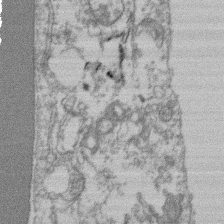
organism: Mouse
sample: T cell stromal cell synapse